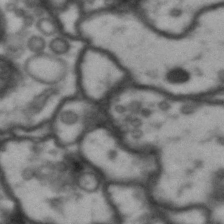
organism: Drosophila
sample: Brain